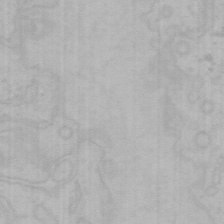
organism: Mouse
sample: Choroid plexus